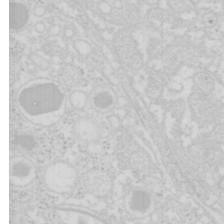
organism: Mouse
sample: Pancreas